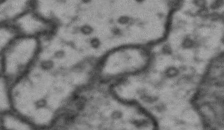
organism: Drosophila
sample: Brain